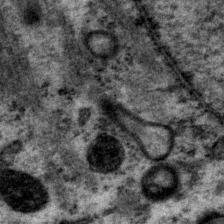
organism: P. pacificus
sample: Pharynx